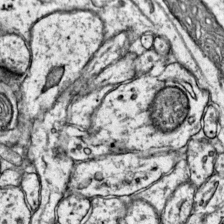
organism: Mouse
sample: Primary visual cortex